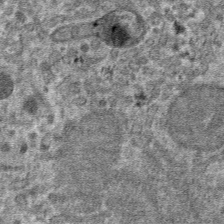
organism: Mouse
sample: Mouse hepatocytes